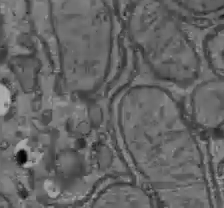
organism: C57BL Mouse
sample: Liver